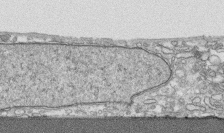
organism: Human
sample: CRL-1474